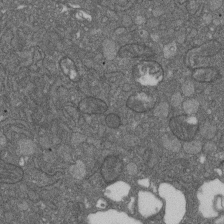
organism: Drosophila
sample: Nephrocyte